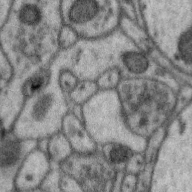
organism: Zebra finch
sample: Brain